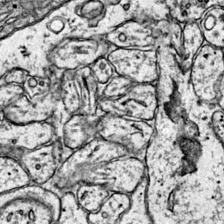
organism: Mouse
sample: Primary visual cortex